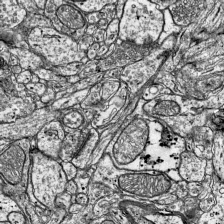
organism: Mouse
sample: Visual Cortex